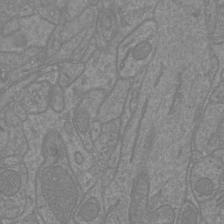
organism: Mouse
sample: Cortical neurons